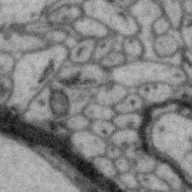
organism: Zebra finch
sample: Brain